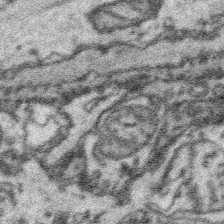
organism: Platynereis dumerilii